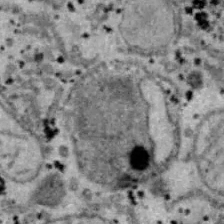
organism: Mouse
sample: Liver from an obese (ob/ob) mouse